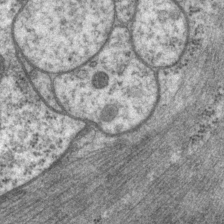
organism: P. pacificus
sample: Pharynx